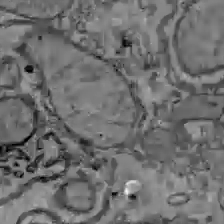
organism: C57BL Mouse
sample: Liver